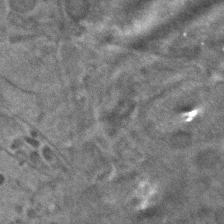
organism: C. elegans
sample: C. elegans embryo